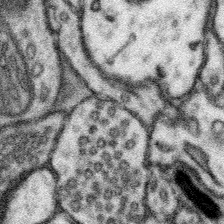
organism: Mouse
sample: Somatosensory cortex neuropil